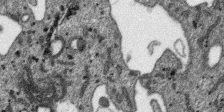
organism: Human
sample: Lung epithelial cells infected with SARS-CoV-2